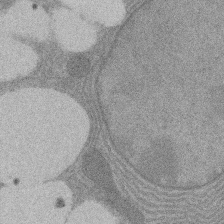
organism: Rat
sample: Salivary granule